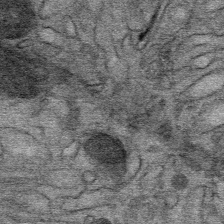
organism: Mouse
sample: Mouse Salivary gland